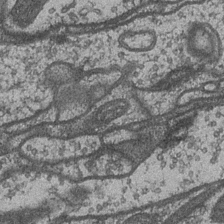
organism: Drosophila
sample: Optic medulla